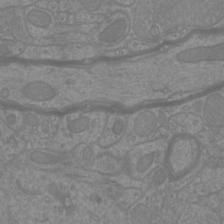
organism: Mouse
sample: Cortical neurons